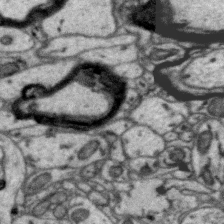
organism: Zebra finch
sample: Brain